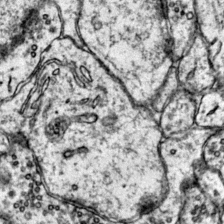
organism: Mouse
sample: Primary visual cortex